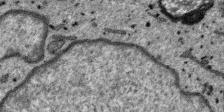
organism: Human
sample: Lung epithelial cells, uninfected (mock) control